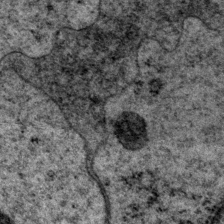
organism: P. pacificus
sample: Pharynx